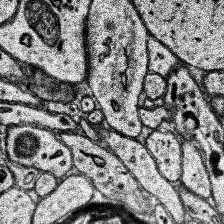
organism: Human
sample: Temporal Lobe